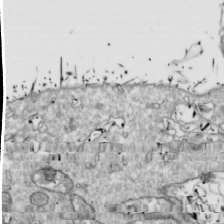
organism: Drosophila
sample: Cell division; meiosis; drosophila spermatocytes